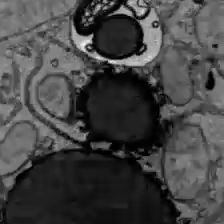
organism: C57BL Mouse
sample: Liver